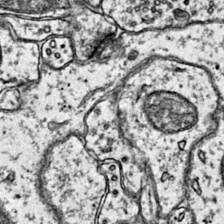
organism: Mouse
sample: Primary visual cortex